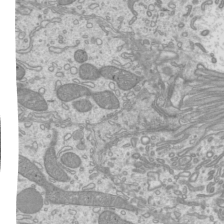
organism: Mouse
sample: Cilia; mouse epididymis